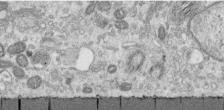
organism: Human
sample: Centriole in RPE cells